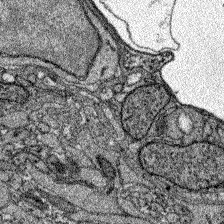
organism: Zebrafish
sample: Larval olfactory bulb